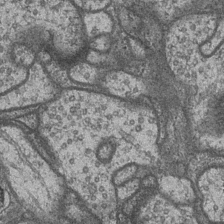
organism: Drosophila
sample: Optic medulla